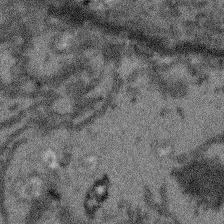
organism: Arabidopsis thaliana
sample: Root tip